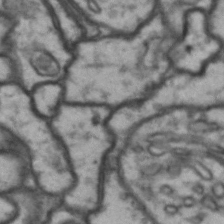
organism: Drosophila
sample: Brain